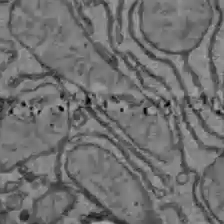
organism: C57BL Mouse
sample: Liver